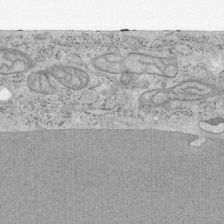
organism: Human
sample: HeLa cells